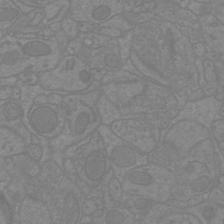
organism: Mouse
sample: Cortical neurons